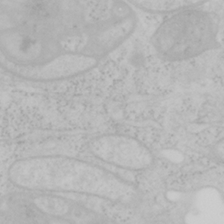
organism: Mouse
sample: OT-I killer T cells with ID8 ovarian cancer cells